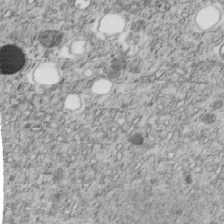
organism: C. elegans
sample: C. elegans embryo early stage